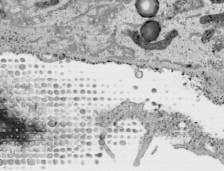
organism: Human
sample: Mitochondria in HCT116 cells